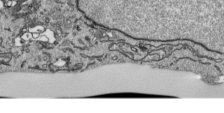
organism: Human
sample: Mitochondria in HCT116 cells